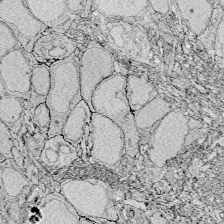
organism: Zebrafish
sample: Whole-Brain